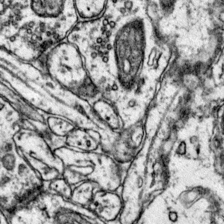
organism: Mouse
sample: Primary visual cortex